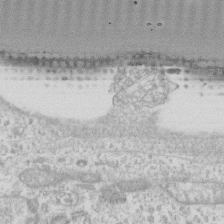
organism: Human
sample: Fibroblast cells